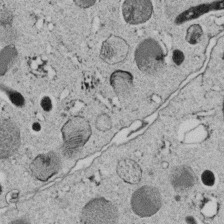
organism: C. elegans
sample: C. elegans embryo early stage